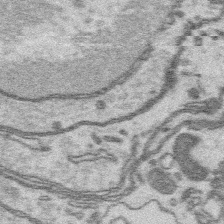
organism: Platynereis dumerilii